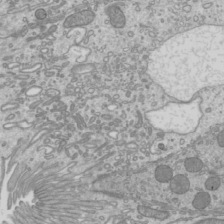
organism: Mouse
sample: Cilia; mouse epididymis